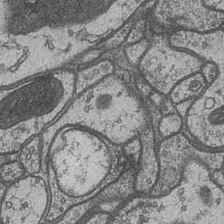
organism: Drosophila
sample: Optic medulla